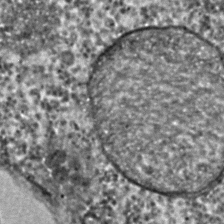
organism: C. elegans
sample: C. elegans embryo